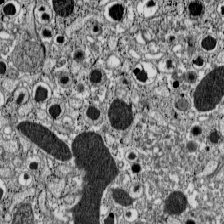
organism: C57BL Mouse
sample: Pancreatic islet